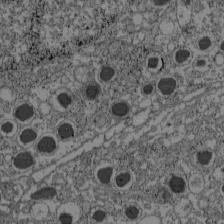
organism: C57BL Mouse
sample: Pancreatic islet